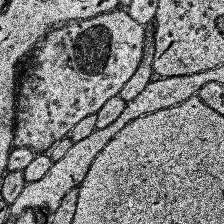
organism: Human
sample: Temporal Lobe